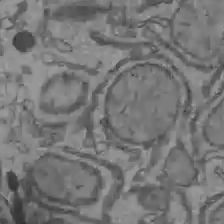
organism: C57BL Mouse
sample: Liver